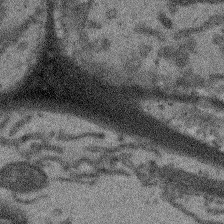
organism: Arabidopsis thaliana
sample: Root tip